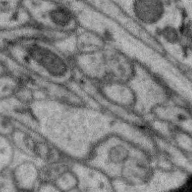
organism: Zebra finch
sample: Brain